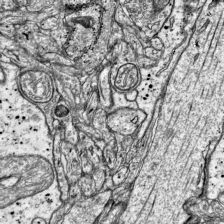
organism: Mouse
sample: Visual Cortex